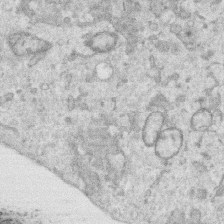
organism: Human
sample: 1205lu cells